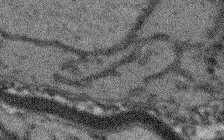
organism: Arabidopsis thaliana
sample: Root tip